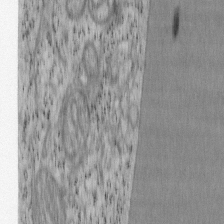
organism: Human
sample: HeLa cells